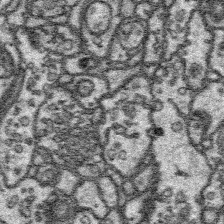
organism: Platynereis dumerilii